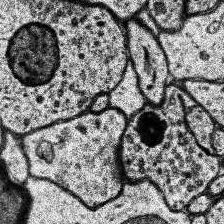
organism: Human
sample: Temporal Lobe